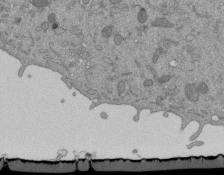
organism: Mouse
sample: ED-1 cell nuclei; centrioles